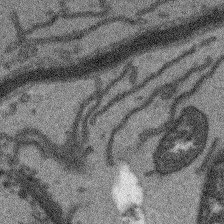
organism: Arabidopsis thaliana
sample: Root tip